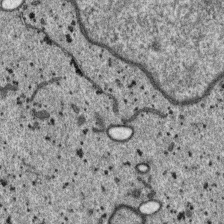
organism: Human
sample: Lung epithelial cells infected with SARS-CoV-2